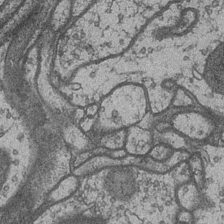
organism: Drosophila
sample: Optic medulla